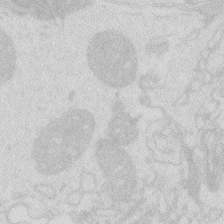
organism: Zebrafish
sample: Macrophage